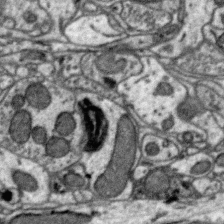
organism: Zebra finch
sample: Brain